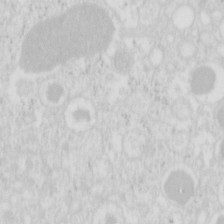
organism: Mouse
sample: Pancreas